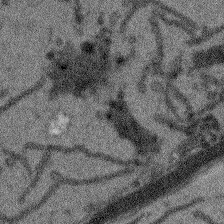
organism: Arabidopsis thaliana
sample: Root tip